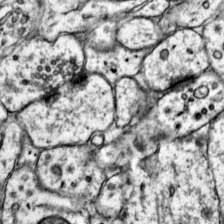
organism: Mouse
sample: Primary visual cortex